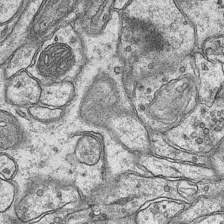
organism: Mouse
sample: CA1 Hippocampus